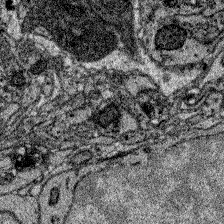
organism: Zebrafish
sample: Larval olfactory bulb